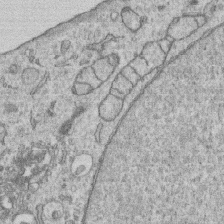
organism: Human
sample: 1205lu cells